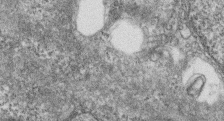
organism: Zebrafish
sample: Cilia; retinal pigment epithelium